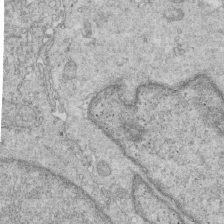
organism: Mouse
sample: Multiciliated cells